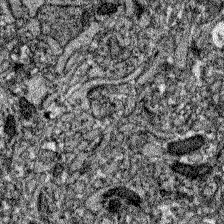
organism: Zebrafish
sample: Larval olfactory bulb